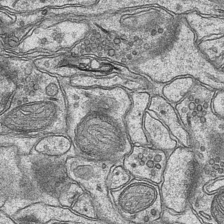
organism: Mouse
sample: CA1 Hippocampus